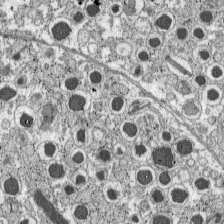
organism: C57BL Mouse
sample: Pancreatic islet